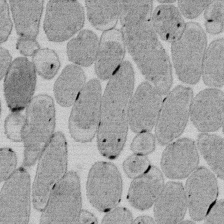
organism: E. coli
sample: Bacterial nucleoid